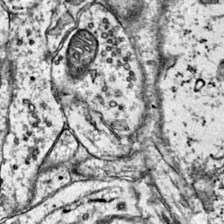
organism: Mouse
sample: Primary visual cortex